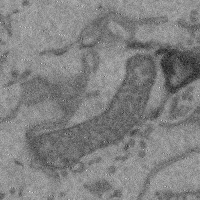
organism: Mouse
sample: Cerebral cortex